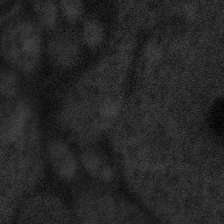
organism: Tuwongella immobilis